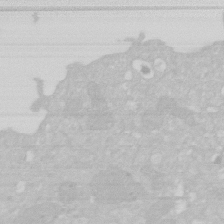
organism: Human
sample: HIV infected U937 cells